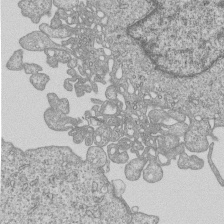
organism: Human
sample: MDA-MB-231 cells